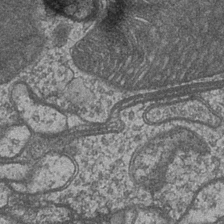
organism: Drosophila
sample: Optic medulla